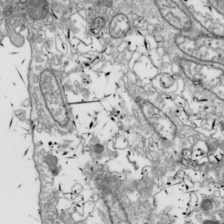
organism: Drosophila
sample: Cell division; meiosis; drosophila spermatocytes